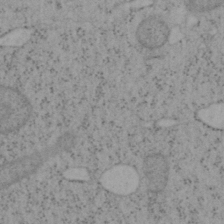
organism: Mouse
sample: OT-I killer T cells with ID8 ovarian cancer cells